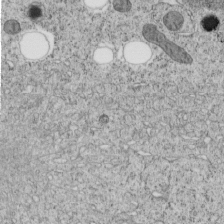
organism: C. elegans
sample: C. elegans embryo early stage